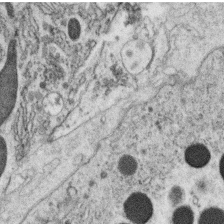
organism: C. elegans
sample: C. elegans oocyte; sperm cells